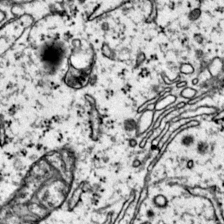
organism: Mouse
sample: Primary visual cortex